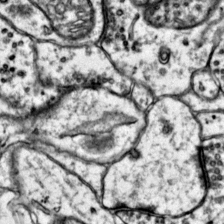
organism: Mouse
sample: Primary visual cortex